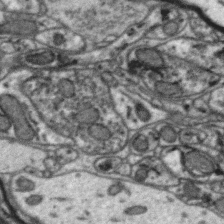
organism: Zebra finch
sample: Brain